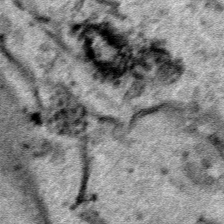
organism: Human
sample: Mitochondria in HCT116 cells